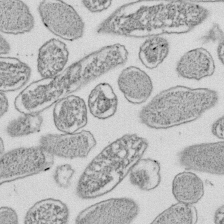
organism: E. coli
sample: Bacterial nucleoid